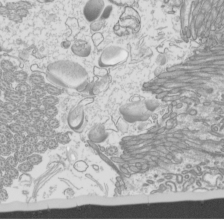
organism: Mouse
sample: Cilia; mouse epididymis